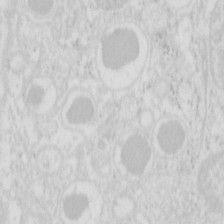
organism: Mouse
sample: Pancreas